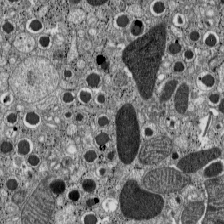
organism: C57BL Mouse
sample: Pancreatic islet